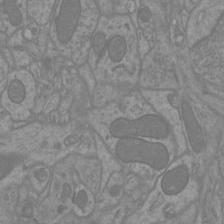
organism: Mouse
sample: Cortical neurons